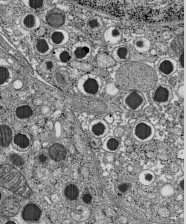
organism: C57BL Mouse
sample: Pancreatic islet